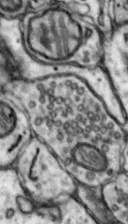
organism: Mouse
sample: Nucleus accumbens